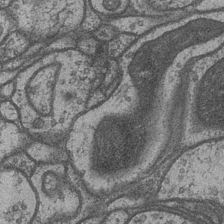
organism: Drosophila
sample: Optic medulla